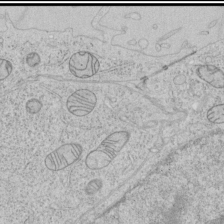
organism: Human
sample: Mitochondria in HCT116 cells